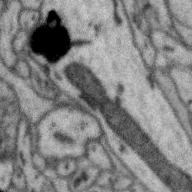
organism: Zebra finch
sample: Brain